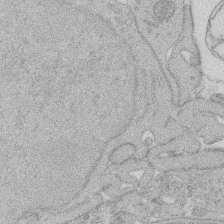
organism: Rat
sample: Salivary granule